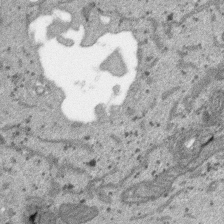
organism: Human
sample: Lung epithelial cells infected with SARS-CoV-2